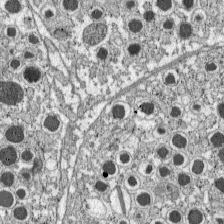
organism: C57BL Mouse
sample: Pancreatic islet